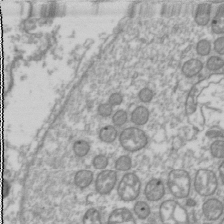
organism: Drosophila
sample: Cell division; meiosis; drosophila spermatocytes